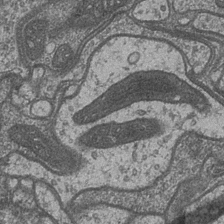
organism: Drosophila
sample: Optic medulla